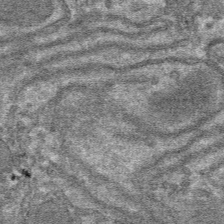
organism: Mouse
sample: Mouse hepatocytes